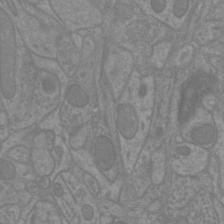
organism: Mouse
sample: Cortical neurons